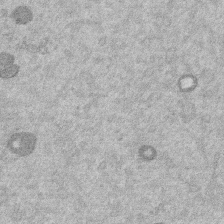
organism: Mouse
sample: Dividing mouse embryo 1 cell stage